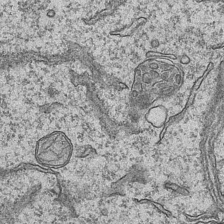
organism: Mouse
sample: CA1 Hippocampus